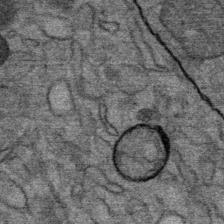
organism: Mouse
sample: Mouse Salivary gland